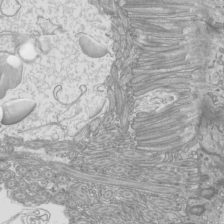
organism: Mouse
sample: Cilia; mouse epididymis